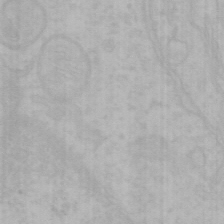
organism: Mouse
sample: Choroid plexus